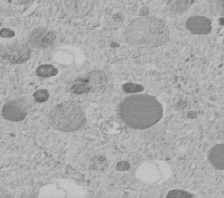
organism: C. elegans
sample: C. elegans embryo early stage